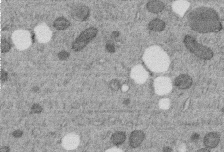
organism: C. elegans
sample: C. elegans embryo early stage